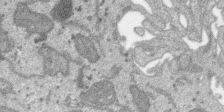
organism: Human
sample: Lung epithelial cells infected with SARS-CoV-2